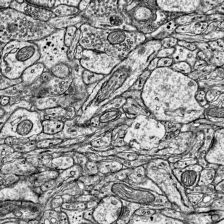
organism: Mouse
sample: Visual Cortex